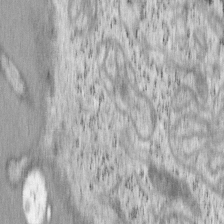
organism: Human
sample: HeLa cells